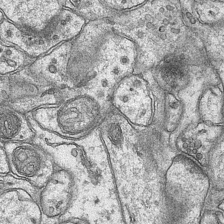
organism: Mouse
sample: CA1 Hippocampus